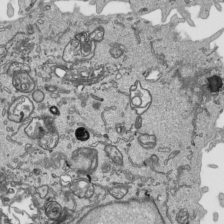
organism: Human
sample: Mitochondria in HCT116 cells